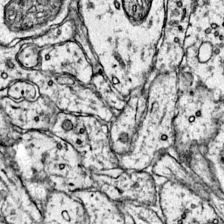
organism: Mouse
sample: Primary visual cortex